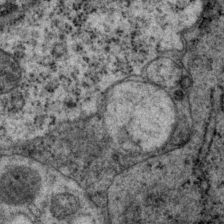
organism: P. pacificus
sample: Pharynx